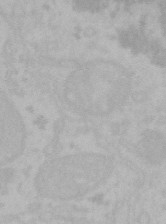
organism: Mouse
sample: Choroid plexus